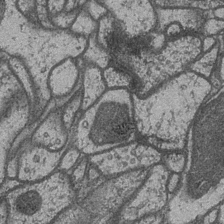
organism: Drosophila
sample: Optic medulla